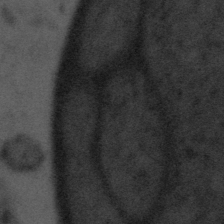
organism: Tuwongella immobilis